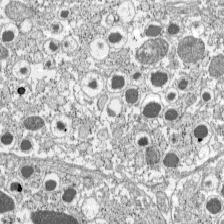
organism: C57BL Mouse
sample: Pancreatic islet